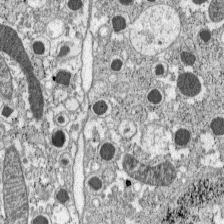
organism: C57BL Mouse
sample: Pancreatic islet